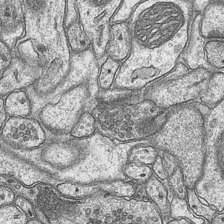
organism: Mouse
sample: CA1 Hippocampus